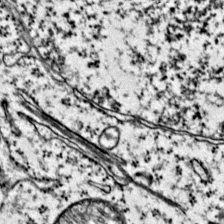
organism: Mouse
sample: Primary visual cortex